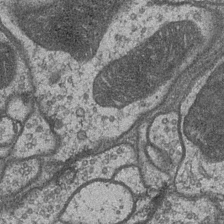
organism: Drosophila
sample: Optic medulla